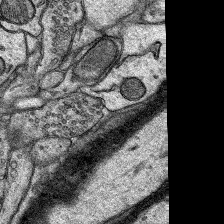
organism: Rat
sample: Hippocampus